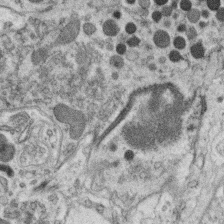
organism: C. elegans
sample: C. elegans oocyte; sperm cells